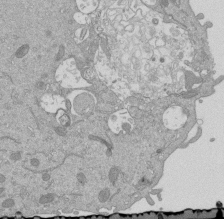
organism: Mouse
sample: ED-1 cell nuclei; centrioles